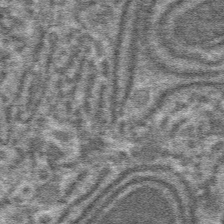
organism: Mouse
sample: Mouse hepatocytes